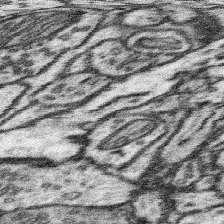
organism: Mouse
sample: Somatosensory cortex neuropil